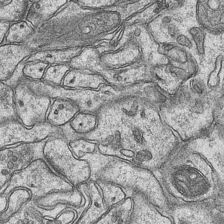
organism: Mouse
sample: CA1 Hippocampus